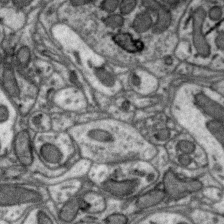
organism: Zebra finch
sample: Brain